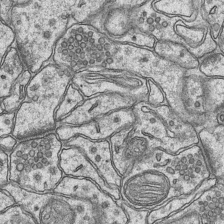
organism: Mouse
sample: CA1 Hippocampus